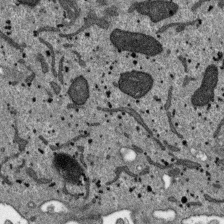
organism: Human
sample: Lung epithelial cells, uninfected (mock) control